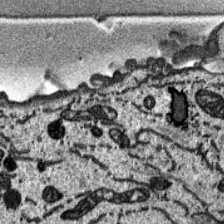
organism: Human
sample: HeLa cells